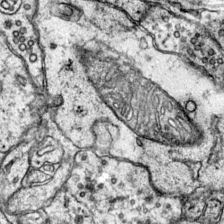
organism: Mouse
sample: Primary visual cortex